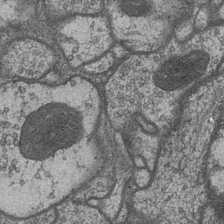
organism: Drosophila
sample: Optic medulla